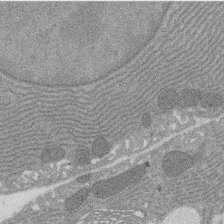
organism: Rat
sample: Salivary granule